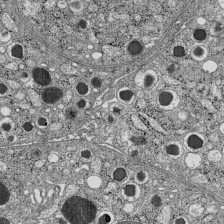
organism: C57BL Mouse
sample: Pancreatic islet